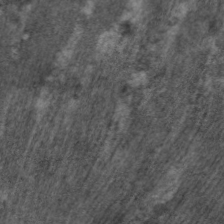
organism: C. elegans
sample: Pharynx